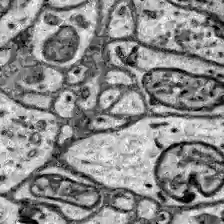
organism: Zebrafish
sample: Brain